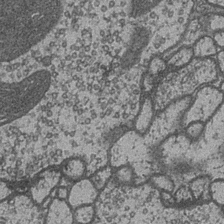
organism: Drosophila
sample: Optic medulla